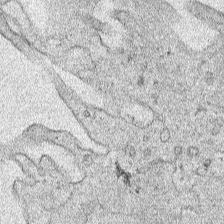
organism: Human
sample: Mitochondria in HCT116 cells